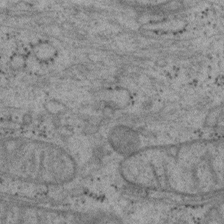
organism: Human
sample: HeLa cells